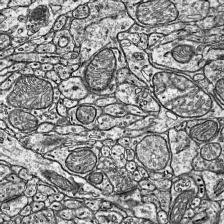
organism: Mouse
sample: Visual Cortex